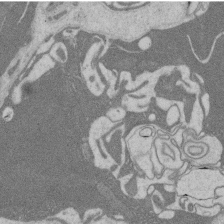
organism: Rat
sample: Salivary granule